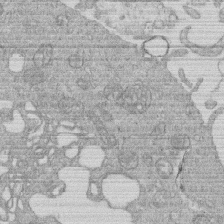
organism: Human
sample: Macrophage cells